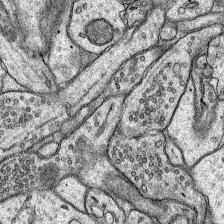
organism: Rat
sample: Hippocampus